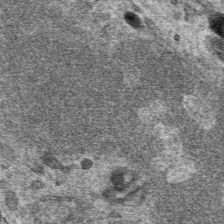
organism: Mouse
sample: Mouse hepatocytes